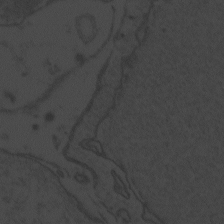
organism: Zebrafish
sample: Macrophage infected with Toxoplasma gondii